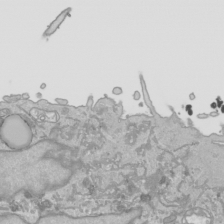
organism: Human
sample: Mitochondria in HCT116 cells